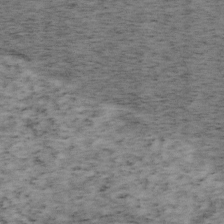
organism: Mouse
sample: OT-I killer T cells with ID8 ovarian cancer cells